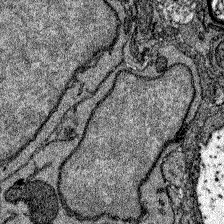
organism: Zebrafish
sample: Larval olfactory bulb